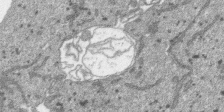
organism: Human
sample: Lung epithelial cells infected with SARS-CoV-2